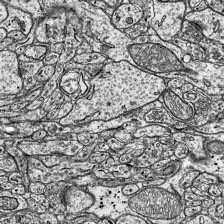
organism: Mouse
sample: Visual Cortex